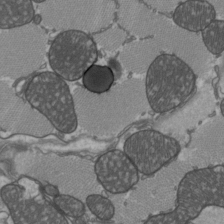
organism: C57BL Mouse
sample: Heart